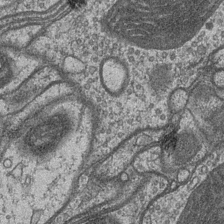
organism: Drosophila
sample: Optic medulla